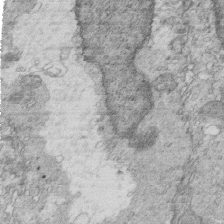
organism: Mouse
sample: Multiciliated cells